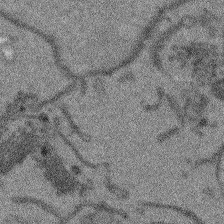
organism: Arabidopsis thaliana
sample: Root tip